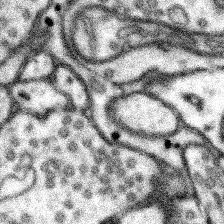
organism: Mouse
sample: Somatosensory cortex neuropil